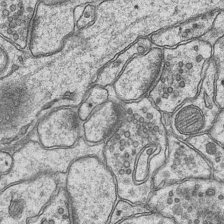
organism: Mouse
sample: CA1 Hippocampus